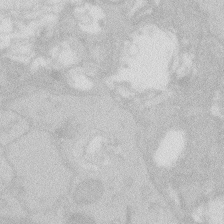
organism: Zebrafish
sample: Macrophage